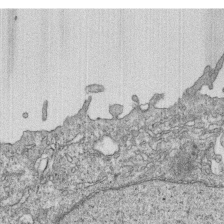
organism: Human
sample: HeLa cell HIV synapse